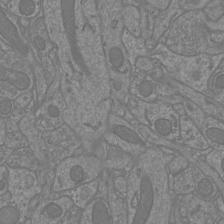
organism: Mouse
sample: Cortical neurons